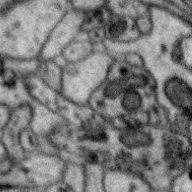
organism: Zebra finch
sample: Brain